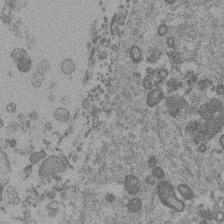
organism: Mouse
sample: Dividing mouse embryo 1 cell stage